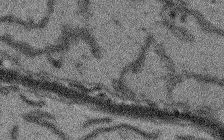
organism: Arabidopsis thaliana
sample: Root tip